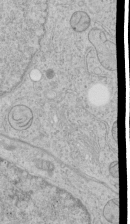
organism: Human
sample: Mitochondria in HCT116 cells